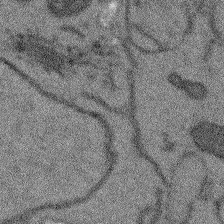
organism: Arabidopsis thaliana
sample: Root tip